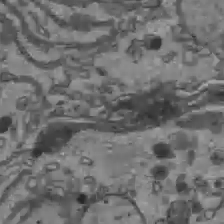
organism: C57BL Mouse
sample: Liver